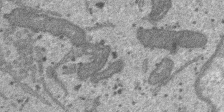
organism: Human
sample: Lung epithelial cells infected with SARS-CoV-2